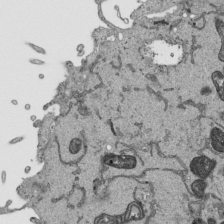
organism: Human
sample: Mitochondria in HCT116 cells